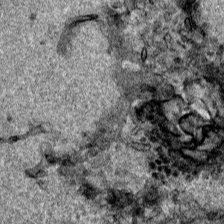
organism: Human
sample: Mitochondria in HCT116 cells